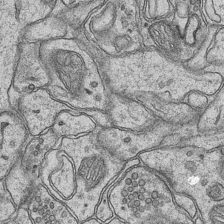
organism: Mouse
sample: CA1 Hippocampus